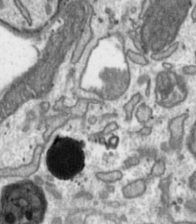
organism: Toxoplasma gondii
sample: Parasites in a vacuole inside a host cell